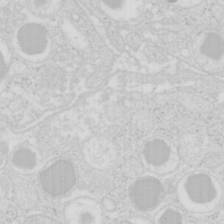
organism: Mouse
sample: Pancreas